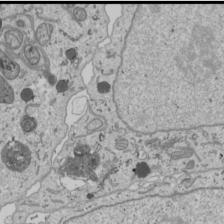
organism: Human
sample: Mitochondria in U2OS cells